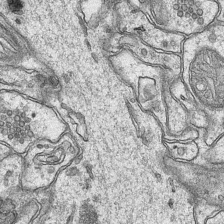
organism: Mouse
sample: CA1 Hippocampus